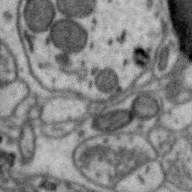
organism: Zebra finch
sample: Brain